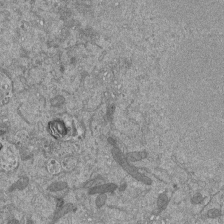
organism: Mouse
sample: ED-1 cell nuclei; centrioles